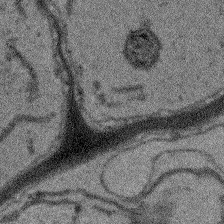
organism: Arabidopsis thaliana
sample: Root tip